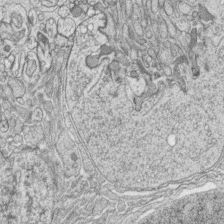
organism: Zebrafish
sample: synaptic ribbons in rod cells and cone cells